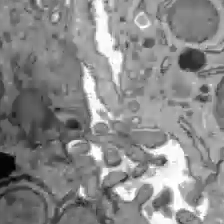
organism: C57BL Mouse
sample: Liver